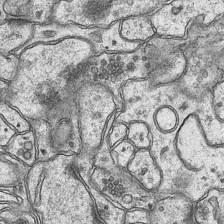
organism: Mouse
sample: CA1 Hippocampus